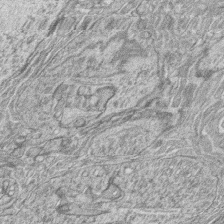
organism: Zebrafish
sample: synaptic ribbons in rod cells and cone cells